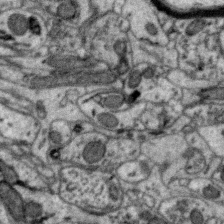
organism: Zebra finch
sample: Brain